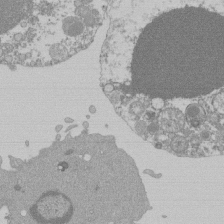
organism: Mouse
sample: Activated Pmel transgenic CD8+ T Cells